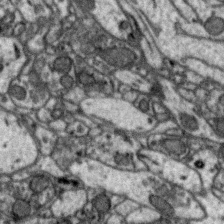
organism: Zebra finch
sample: Brain